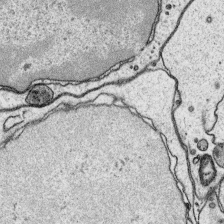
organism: Platynereis dumerilii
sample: Parapodia